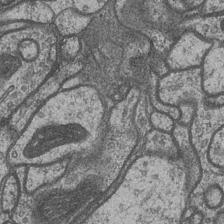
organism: Drosophila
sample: Optic medulla